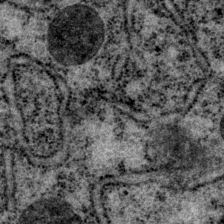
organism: P. pacificus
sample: Pharynx